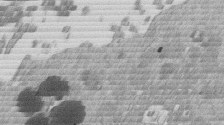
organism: Mouse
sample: Dividing mouse embryo 1 cell stage